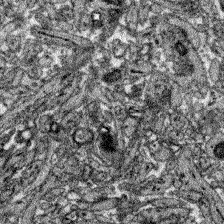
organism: Zebrafish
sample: Larval olfactory bulb